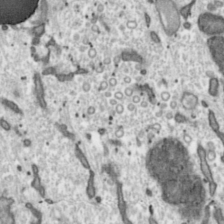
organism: Toxoplasma gondii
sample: Parasites in a vacuole inside a host cell